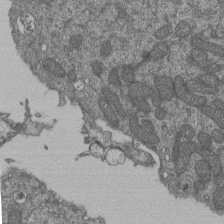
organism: Human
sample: Retinal organoid Rod and Cone cells